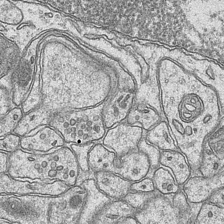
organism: Mouse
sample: CA1 Hippocampus